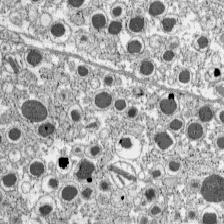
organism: C57BL Mouse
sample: Pancreatic islet